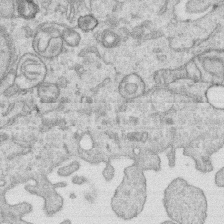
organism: Human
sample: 1205lu cells